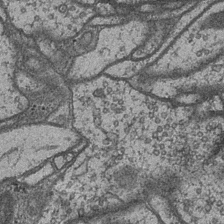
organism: Drosophila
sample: Optic medulla